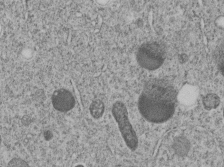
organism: C. elegans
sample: C. elegans embryo early stage